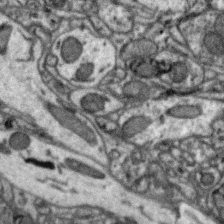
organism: Zebra finch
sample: Brain